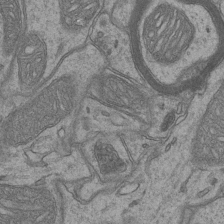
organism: Mouse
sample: CA1 Hippocampus